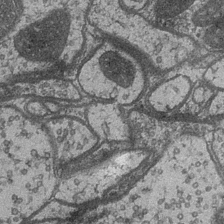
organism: Drosophila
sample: Optic medulla